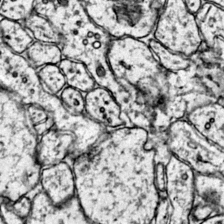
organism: Mouse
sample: Primary visual cortex